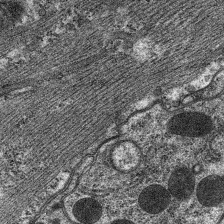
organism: C. elegans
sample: Pharynx